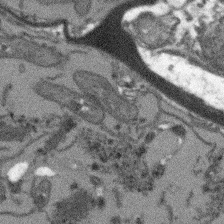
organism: Arabidopsis thaliana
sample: Root tip